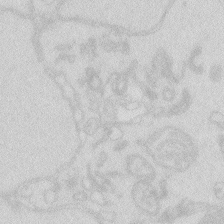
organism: Zebrafish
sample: Macrophage